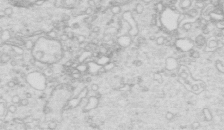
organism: Mouse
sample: Multiciliated cells